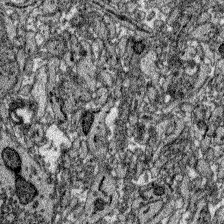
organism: Zebrafish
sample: Larval olfactory bulb